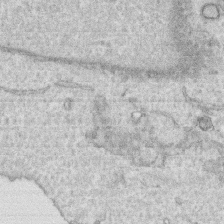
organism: Human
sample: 1205lu cells